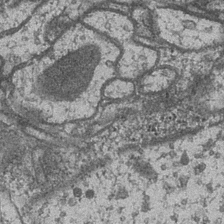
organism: Drosophila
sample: Optic medulla